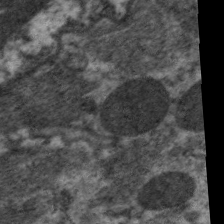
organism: C. elegans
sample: Pharynx